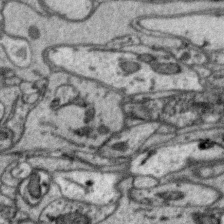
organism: Zebra finch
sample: Brain